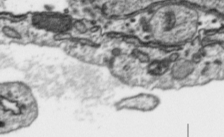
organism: Toxoplasma gondii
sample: Parasites in a vacuole inside a host cell